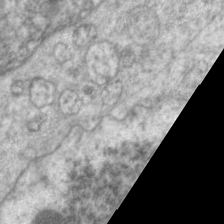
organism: C. elegans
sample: Pharynx